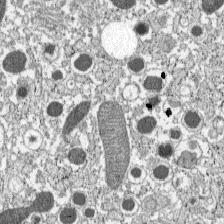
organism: C57BL Mouse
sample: Pancreatic islet